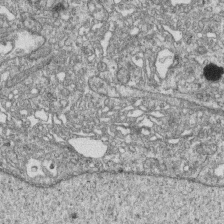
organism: Human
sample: HeLa cell HIV synapse